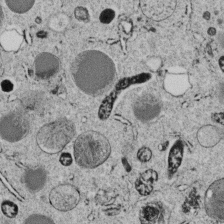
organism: C. elegans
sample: C. elegans embryo early stage